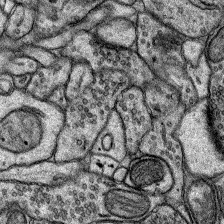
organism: Rat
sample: Hippocampus